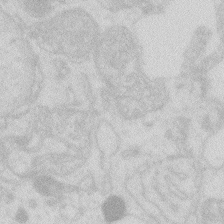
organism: Zebrafish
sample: Macrophage